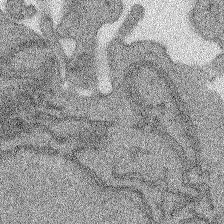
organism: Human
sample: HeLa cells